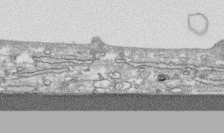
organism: Human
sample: CRL-1474